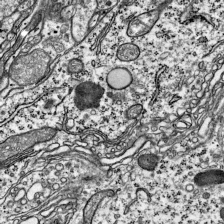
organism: Mouse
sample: Visual Cortex